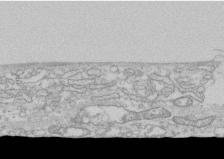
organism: Human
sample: CRL-1474